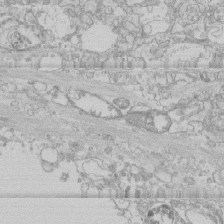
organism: Human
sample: CRL-1474